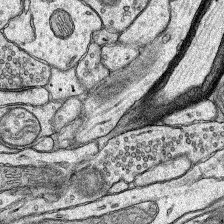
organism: Rat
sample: Hippocampus